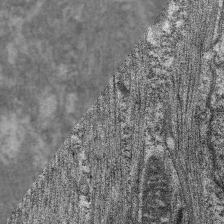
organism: C. elegans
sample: Pharynx